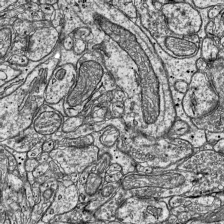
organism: Mouse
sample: Visual Cortex